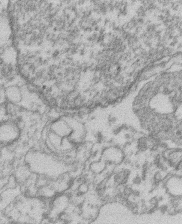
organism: Mouse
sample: T cell stromal cell synapse